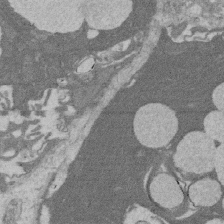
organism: Rat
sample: Salivary granule